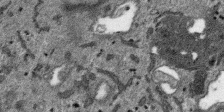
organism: Human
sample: Lung epithelial cells, uninfected (mock) control